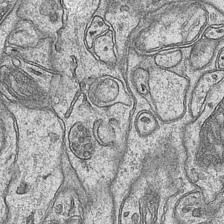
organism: Mouse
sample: CA1 Hippocampus